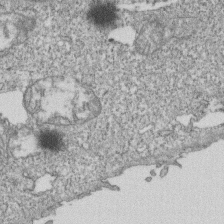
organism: Human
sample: HeLa cell HIV synapse